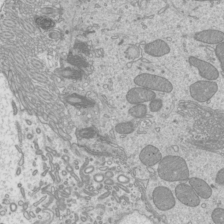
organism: Mouse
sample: Cilia; mouse epididymis